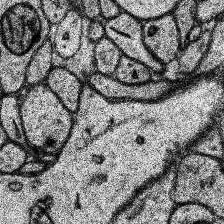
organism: Human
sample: Temporal Lobe